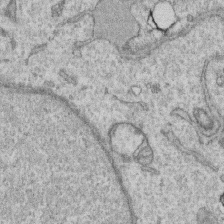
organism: Human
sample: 1205lu cells